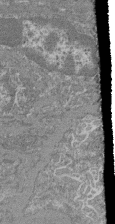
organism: Mouse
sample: Glomerulus